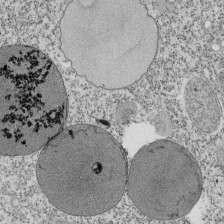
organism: Tetrahymena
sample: Cilia in tetrahymena